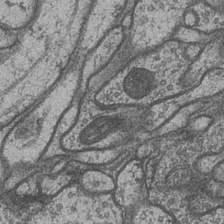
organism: Drosophila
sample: Optic medulla